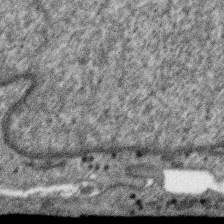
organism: Human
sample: Lung epithelial cells infected with SARS-CoV-2